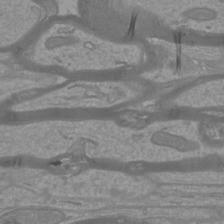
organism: Mouse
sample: Cortical neurons